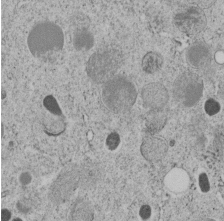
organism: C. elegans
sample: C. elegans embryo early stage